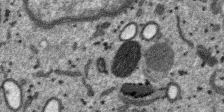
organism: Human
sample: Lung epithelial cells infected with SARS-CoV-2